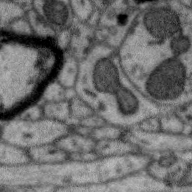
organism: Zebra finch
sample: Brain